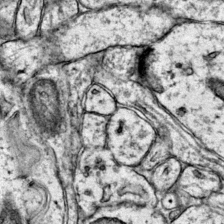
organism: Mouse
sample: Primary visual cortex